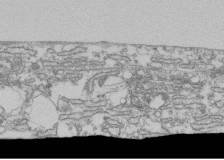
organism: Human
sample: Fibroblast cells